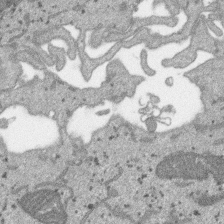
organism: Human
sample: Lung epithelial cells infected with SARS-CoV-2